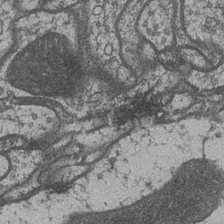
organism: Drosophila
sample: Optic medulla